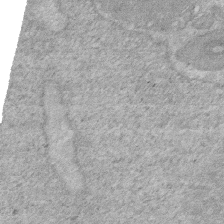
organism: Human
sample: HIV infected U937 cells